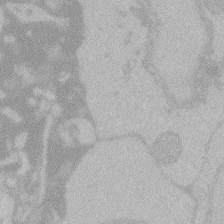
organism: Zebrafish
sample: Macrophage infected with Toxoplasma gondii